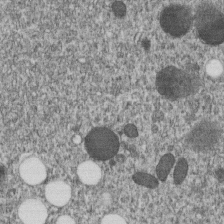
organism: C. elegans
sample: C. elegans embryo early stage